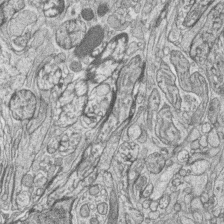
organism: Zebrafish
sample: synaptic ribbons in rod cells and cone cells